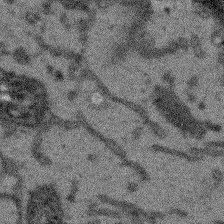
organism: Arabidopsis thaliana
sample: Root tip